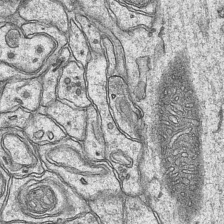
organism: Mouse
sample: CA1 Hippocampus